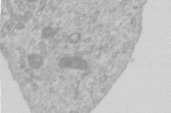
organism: Human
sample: Centriole in RPE cells